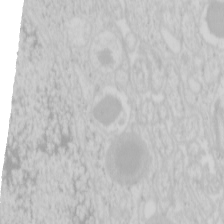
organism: Mouse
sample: Pancreas